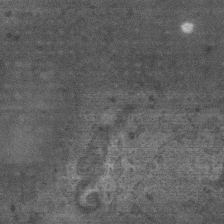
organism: Mouse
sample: Centriole in ependymal cells